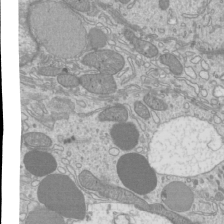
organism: Mouse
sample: Cilia; mouse epididymis